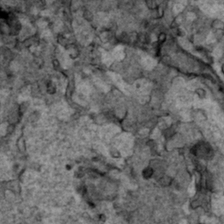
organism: Human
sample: Mitochondria in HCT116 cells